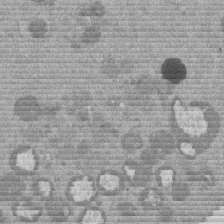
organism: Mouse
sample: Dividing mouse embryo 1 cell stage